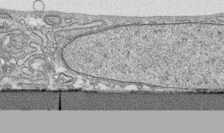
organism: Human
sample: CRL-1474